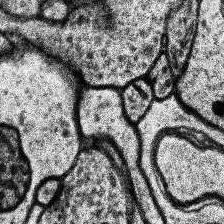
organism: Human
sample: Temporal Lobe